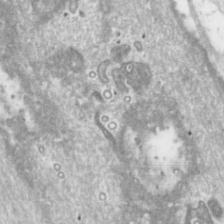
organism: Toxoplasma gondii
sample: Parasites in a vacuole inside a host cell